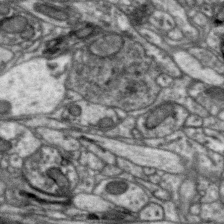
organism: Zebra finch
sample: Brain